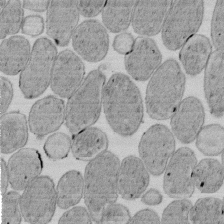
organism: E. coli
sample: Bacterial nucleoid